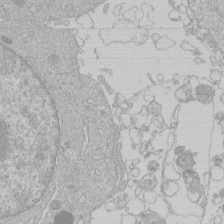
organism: Human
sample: Macrophage cells